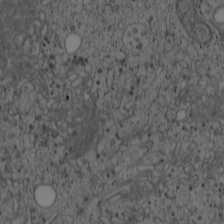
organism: African green monkey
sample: COS-7 cells